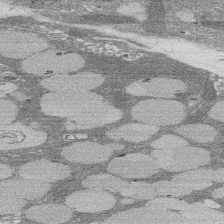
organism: Rat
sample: Salivary granule